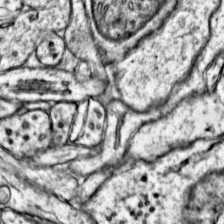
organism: Mouse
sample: Primary visual cortex